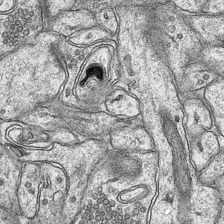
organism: Mouse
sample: CA1 Hippocampus